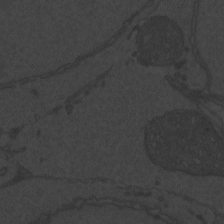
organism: Zebrafish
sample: Macrophage infected with Toxoplasma gondii